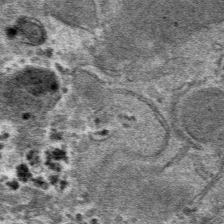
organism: Mouse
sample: Mouse hepatocytes